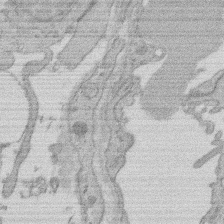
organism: Rat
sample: Salivary granule